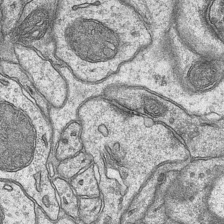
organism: Mouse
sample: CA1 Hippocampus